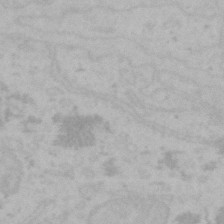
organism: Mouse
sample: Choroid plexus